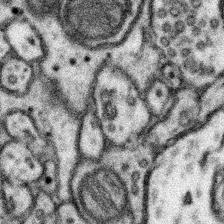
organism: Mouse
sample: Somatosensory cortex neuropil